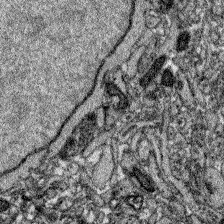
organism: Zebrafish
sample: Larval olfactory bulb